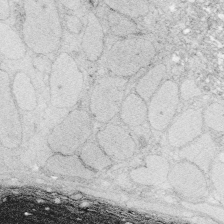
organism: Zebrafish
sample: Whole-Brain